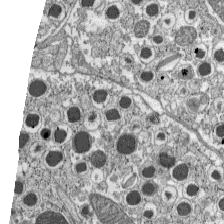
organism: C57BL Mouse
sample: Pancreatic islet